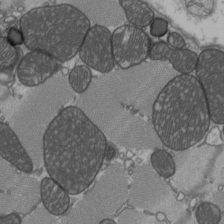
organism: C57BL Mouse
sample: Heart